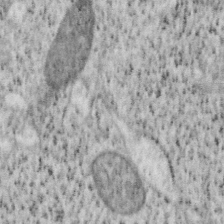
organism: Mouse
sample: OT-I killer T cells with ID8 ovarian cancer cells